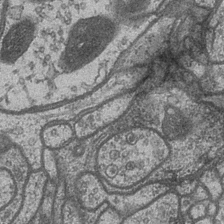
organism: Drosophila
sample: Optic medulla